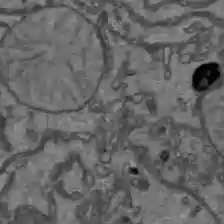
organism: C57BL Mouse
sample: Liver